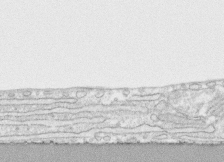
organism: Human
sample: CRL-1474